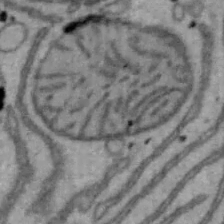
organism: Mouse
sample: Liver